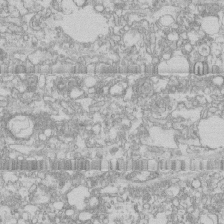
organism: Human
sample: CRL-1474